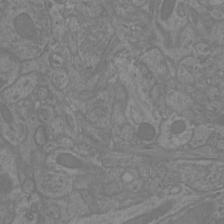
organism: Mouse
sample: Cortical neurons